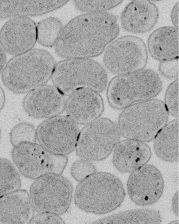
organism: E. coli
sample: Bacterial nucleoid